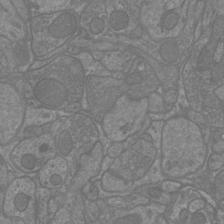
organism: Mouse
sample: Cortical neurons